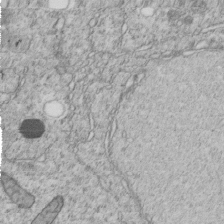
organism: C. elegans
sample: C. elegans embryo early stage